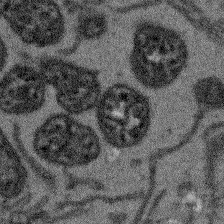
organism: Arabidopsis thaliana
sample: Root tip